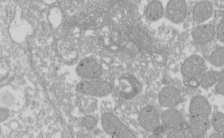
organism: Xenopus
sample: Cilia; centrioles in frog embryo cells